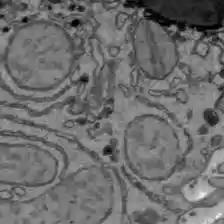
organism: C57BL Mouse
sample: Liver